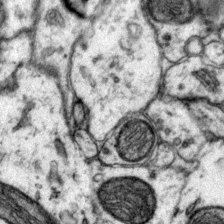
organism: Mouse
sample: Primary visual cortex